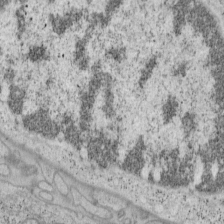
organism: Mouse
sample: OT-I killer T cells with ID8 ovarian cancer cells